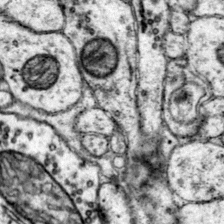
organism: Mouse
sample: Primary visual cortex